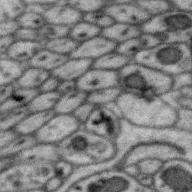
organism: Zebra finch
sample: Brain